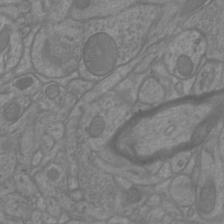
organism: Mouse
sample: Cortical neurons